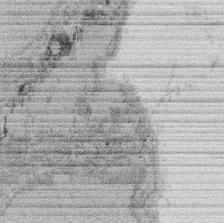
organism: Rat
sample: Salivary granule